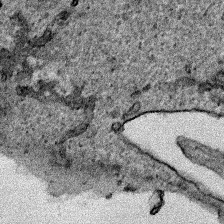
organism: Human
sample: Mitochondria in HCT116 cells